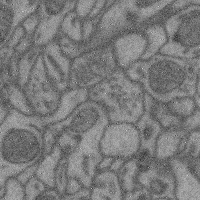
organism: Mouse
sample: Cerebral cortex